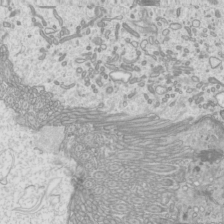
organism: Mouse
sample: Cilia; mouse epididymis